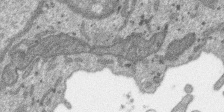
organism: Human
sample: Lung epithelial cells infected with SARS-CoV-2